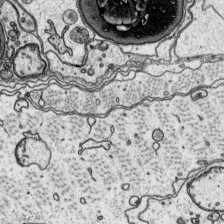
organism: Platynereis dumerilii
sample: Parapodia